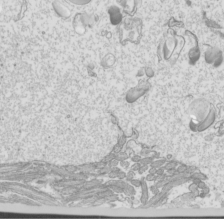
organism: Mouse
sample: Cilia; mouse epididymis